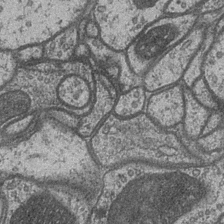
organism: Drosophila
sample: Optic medulla